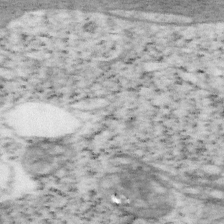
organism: Mouse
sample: OT-I killer T cells with ID8 ovarian cancer cells